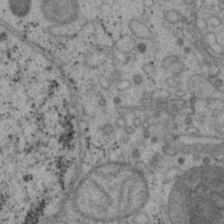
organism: Human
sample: HeLa cells